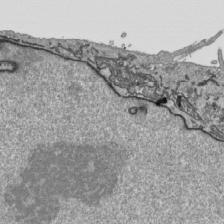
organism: Human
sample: Mitochondria in HCT116 cells